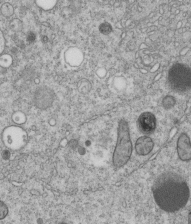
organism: C. elegans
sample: C. elegans embryo early stage